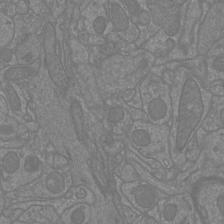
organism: Mouse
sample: Cortical neurons